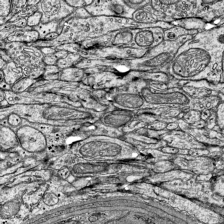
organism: Mouse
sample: Visual Cortex